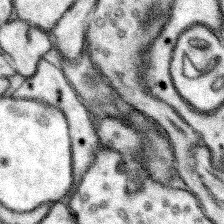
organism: Mouse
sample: Somatosensory cortex neuropil